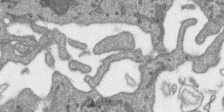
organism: Human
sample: Lung epithelial cells infected with SARS-CoV-2